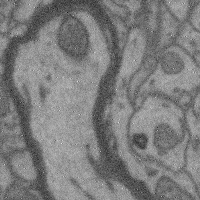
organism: Mouse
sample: Cerebral cortex